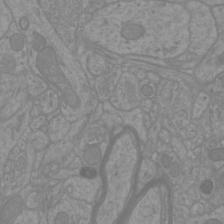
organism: Mouse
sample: Cortical neurons